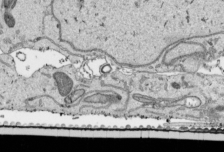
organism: Human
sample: Mitochondria in HCT116 cells